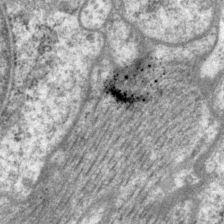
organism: P. pacificus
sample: Pharynx